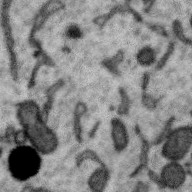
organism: Zebra finch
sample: Brain